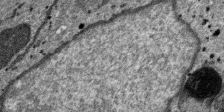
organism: Human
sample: Lung epithelial cells, uninfected (mock) control